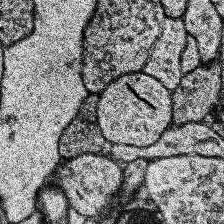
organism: Human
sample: Temporal Lobe